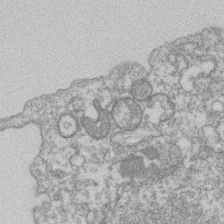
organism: Mouse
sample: T cell stromal cell synapse